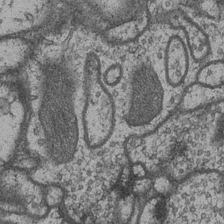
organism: Drosophila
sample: Optic medulla